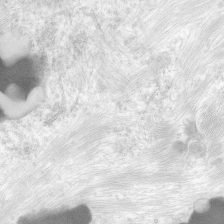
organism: Human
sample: Neocortex